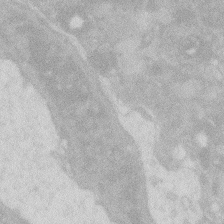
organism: Zebrafish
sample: Macrophage